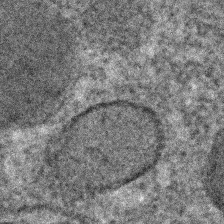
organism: C. elegans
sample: C. elegans embryo